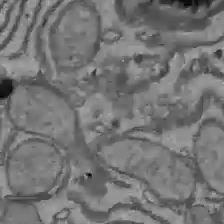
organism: C57BL Mouse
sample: Liver